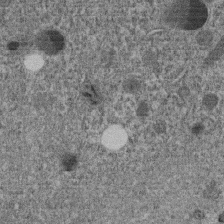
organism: C. elegans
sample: C. elegans embryo early stage